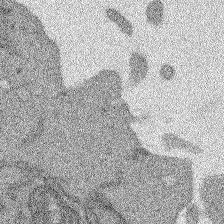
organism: Human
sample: HeLa cells